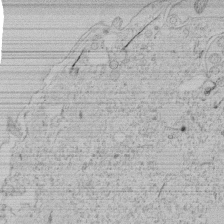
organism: Tetrahymena